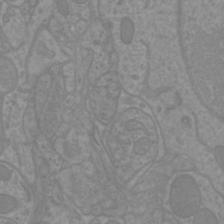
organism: Mouse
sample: Cortical neurons